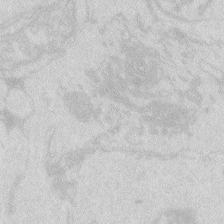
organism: Zebrafish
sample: Macrophage